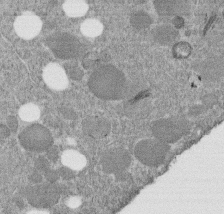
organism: C. elegans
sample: C. elegans embryo early stage